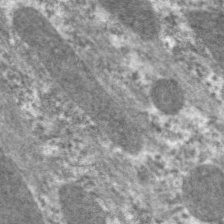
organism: C. elegans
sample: Pharynx